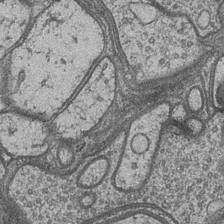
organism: Drosophila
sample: Optic medulla